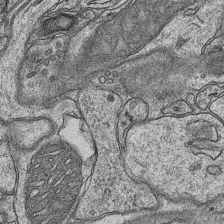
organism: Mouse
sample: CA1 Hippocampus